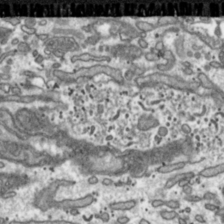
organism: Toxoplasma gondii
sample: Parasites in a vacuole inside a host cell